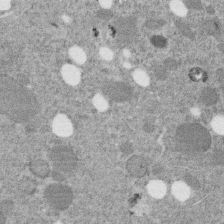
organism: C. elegans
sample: C. elegans embryo early stage